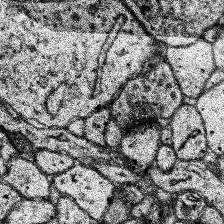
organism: Human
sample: Temporal Lobe